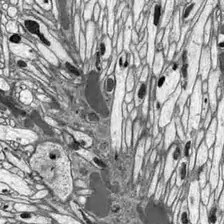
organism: Drosophila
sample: Optic lobe